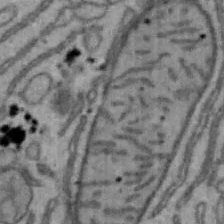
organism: Mouse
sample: Liver